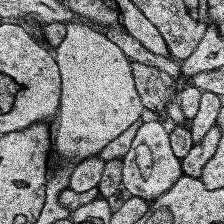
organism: Human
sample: Temporal Lobe